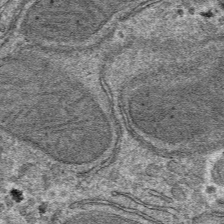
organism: Mouse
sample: Mouse hepatocytes